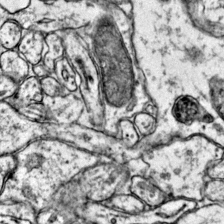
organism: Mouse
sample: Primary visual cortex